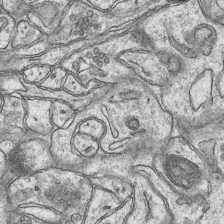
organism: Mouse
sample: CA1 Hippocampus